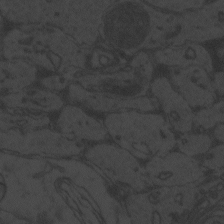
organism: Zebrafish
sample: Macrophage infected with Toxoplasma gondii